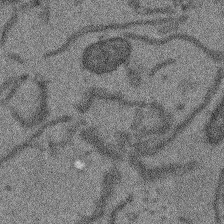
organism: Arabidopsis thaliana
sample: Root tip